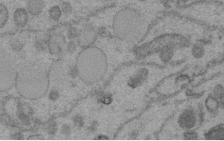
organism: C. elegans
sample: C. elegans embryo early stage